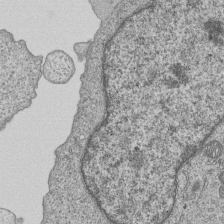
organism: Human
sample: MDA-MB-231 cells